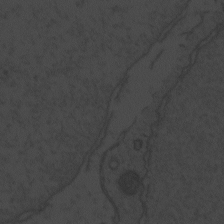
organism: Zebrafish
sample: Macrophage infected with Toxoplasma gondii